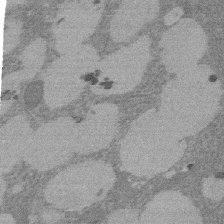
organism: Rat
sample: Salivary granule